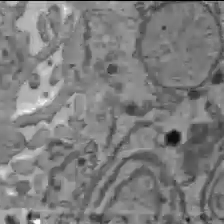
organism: C57BL Mouse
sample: Liver